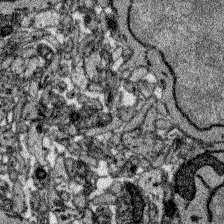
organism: Zebrafish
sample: Larval olfactory bulb